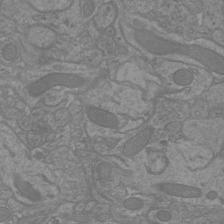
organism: Mouse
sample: Cortical neurons